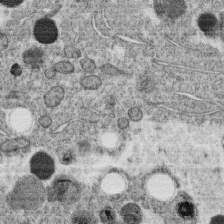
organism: C. elegans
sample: C. elegans oocyte; sperm cells